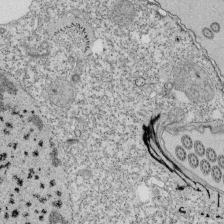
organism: Tetrahymena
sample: Cilia in tetrahymena